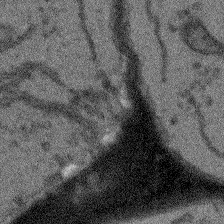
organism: Arabidopsis thaliana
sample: Root tip